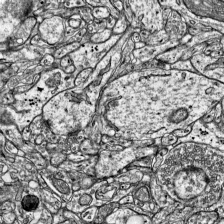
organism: Mouse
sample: Visual Cortex